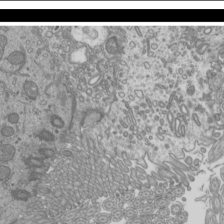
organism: Mouse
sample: Cilia; mouse epididymis